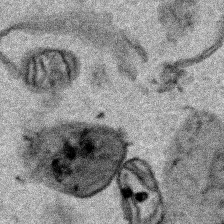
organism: Human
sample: Mitochondria in HCT116 cells